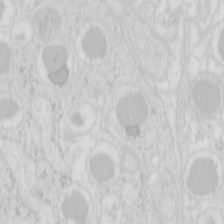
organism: Mouse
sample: Pancreas